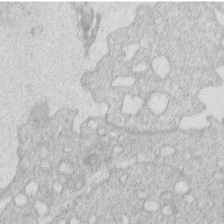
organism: Human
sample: Macrophage cells